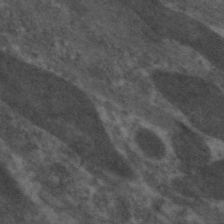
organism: C. elegans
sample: Pharynx